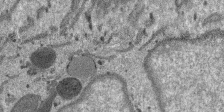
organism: Human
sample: Lung epithelial cells infected with SARS-CoV-2